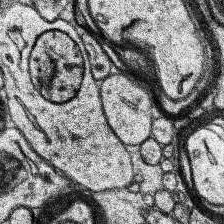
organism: Human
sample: Temporal Lobe